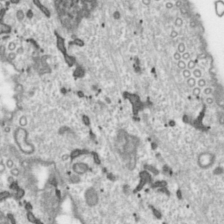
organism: Toxoplasma gondii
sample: Parasites in a vacuole inside a host cell